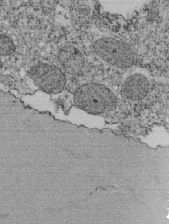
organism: Tetrahymena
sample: Cilia in tetrahymena